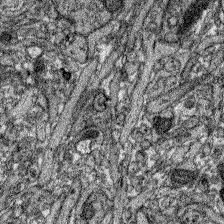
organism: Zebrafish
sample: Larval olfactory bulb